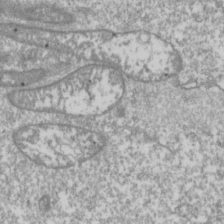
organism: Drosophila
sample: Cell division; meiosis; drosophila spermatocytes